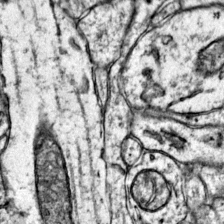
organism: Mouse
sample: Primary visual cortex